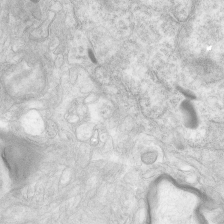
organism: Human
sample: Neocortex